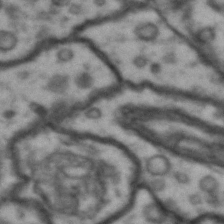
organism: Drosophila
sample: Brain